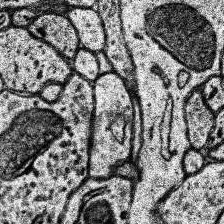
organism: Human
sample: Temporal Lobe